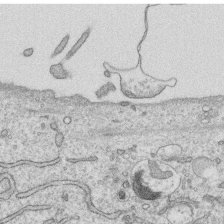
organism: Human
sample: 1205lu cells